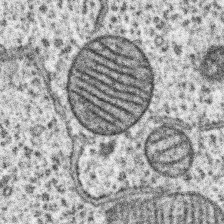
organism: Human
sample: HeLa cells